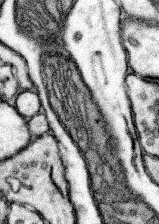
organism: Mouse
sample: Somatosensory cortex neuropil